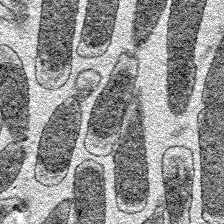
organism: E. coli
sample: E. Coli Bacteria